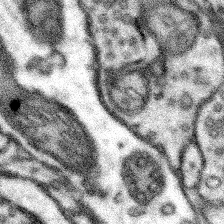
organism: Mouse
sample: Somatosensory cortex neuropil